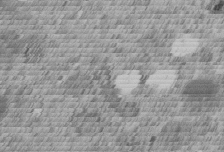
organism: C. elegans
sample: C. elegans embryo early stage